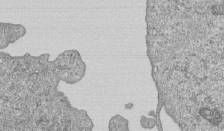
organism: Human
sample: MDA-MB-231 cells